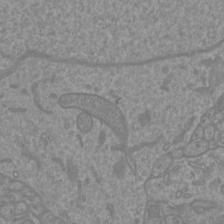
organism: Mouse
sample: Cortical neurons